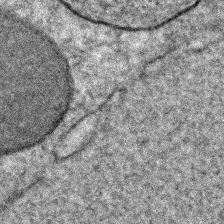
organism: C. elegans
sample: C. elegans embryo